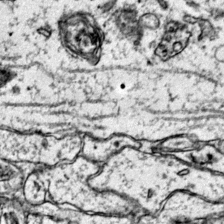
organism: Mouse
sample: Primary visual cortex